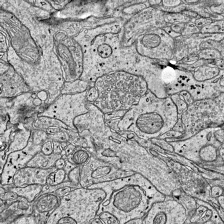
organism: Mouse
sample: Visual Cortex